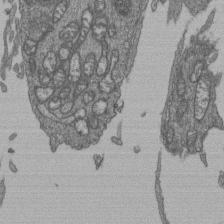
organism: Human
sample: Retinal organoid Rod and Cone cells